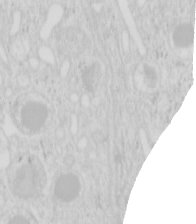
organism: Mouse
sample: Pancreas